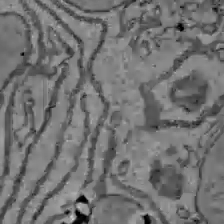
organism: C57BL Mouse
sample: Liver